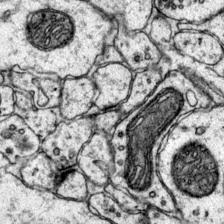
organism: Mouse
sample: Primary visual cortex